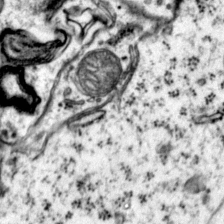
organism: Mouse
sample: Primary visual cortex